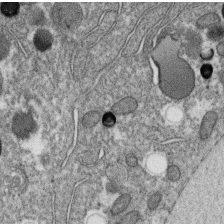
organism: C. elegans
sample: C. elegans oocyte; sperm cells